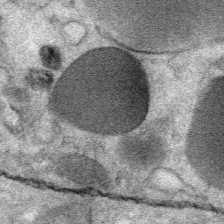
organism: Mouse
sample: Mouse Salivary gland